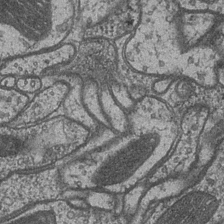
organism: Drosophila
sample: Optic medulla